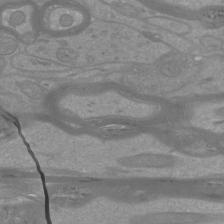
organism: Mouse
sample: Cortical neurons